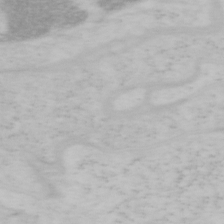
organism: Mouse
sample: OT-I killer T cells with ID8 ovarian cancer cells